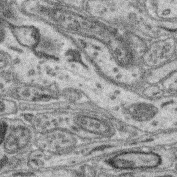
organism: Mouse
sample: Retina